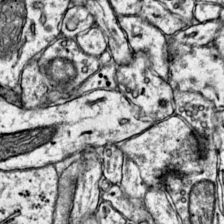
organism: Mouse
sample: Primary visual cortex